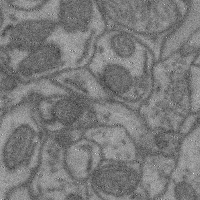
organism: Mouse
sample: Cerebral cortex